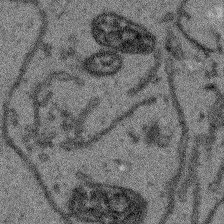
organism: Arabidopsis thaliana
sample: Root tip